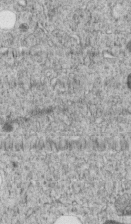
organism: C. elegans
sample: C. elegans embryo early stage